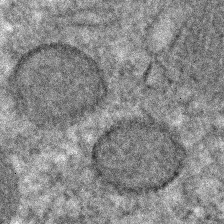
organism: C. elegans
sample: C. elegans embryo